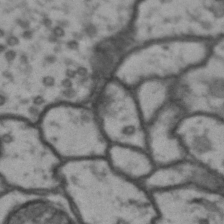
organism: Drosophila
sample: Brain